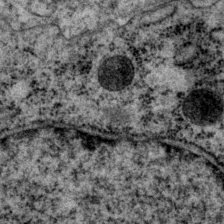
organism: P. pacificus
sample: Pharynx